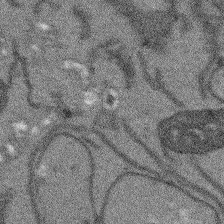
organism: Arabidopsis thaliana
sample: Root tip